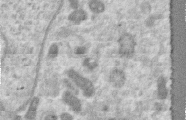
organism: Human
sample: Centriole in RPE cells